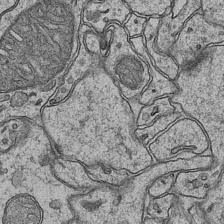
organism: Mouse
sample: CA1 Hippocampus